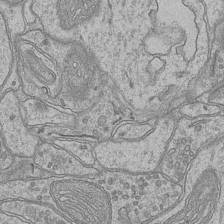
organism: Mouse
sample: CA1 Hippocampus